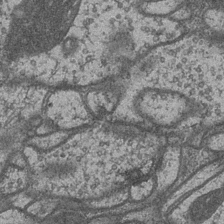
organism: Drosophila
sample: Optic medulla